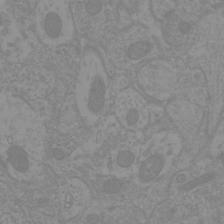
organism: Mouse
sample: Cortical neurons